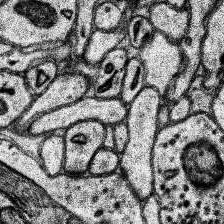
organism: Human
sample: Temporal Lobe